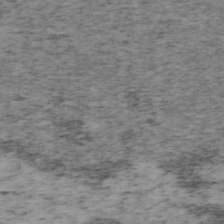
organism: Mouse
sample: OT-I killer T cells with ID8 ovarian cancer cells